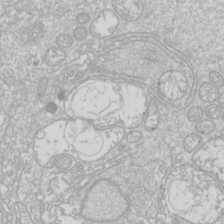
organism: Drosophila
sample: Cell division; meiosis; drosophila spermatocytes